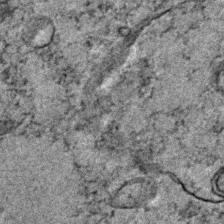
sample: Trachea